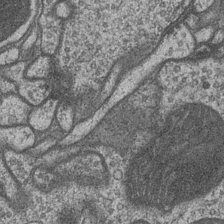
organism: Drosophila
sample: Optic medulla